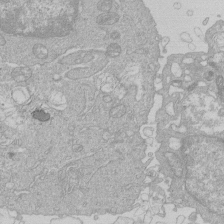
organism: Human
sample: Macrophage cells